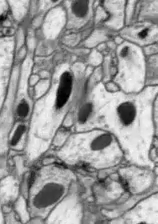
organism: Drosophila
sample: Optic lobe